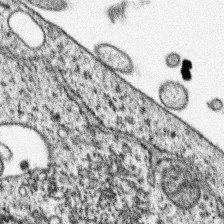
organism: Human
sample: HeLa cells